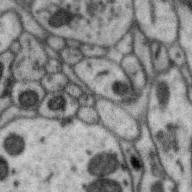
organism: Zebra finch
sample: Brain